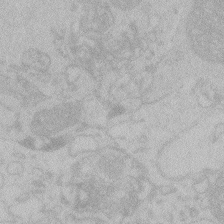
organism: Zebrafish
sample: Macrophage infected with Toxoplasma gondii